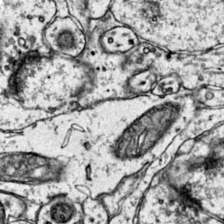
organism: Mouse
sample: Primary visual cortex